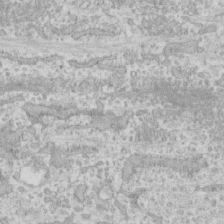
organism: Human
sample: CRL-1474